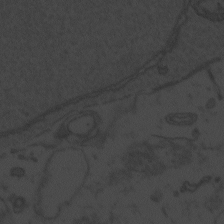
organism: Zebrafish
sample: Macrophage infected with Toxoplasma gondii